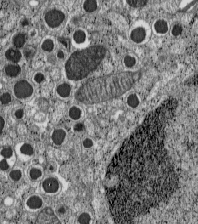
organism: C57BL Mouse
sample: Pancreatic islet